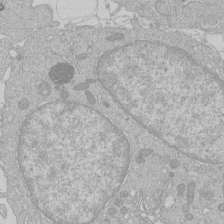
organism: Human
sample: Macrophage cells